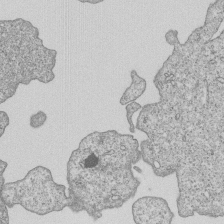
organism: Human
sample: MDA-MB-231 cells